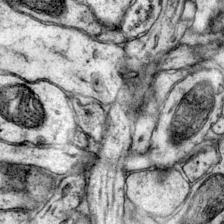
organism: Mouse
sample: Primary visual cortex